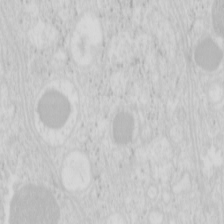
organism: Mouse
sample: Pancreas